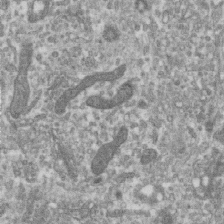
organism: Human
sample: Centriole in RPE cells